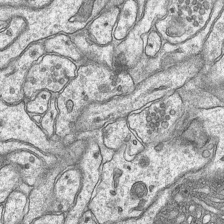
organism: Mouse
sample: CA1 Hippocampus